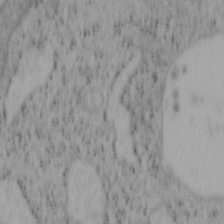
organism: Mouse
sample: OT-I killer T cells with ID8 ovarian cancer cells